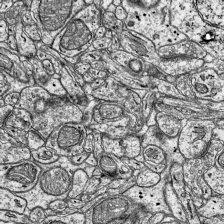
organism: Mouse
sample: Visual Cortex